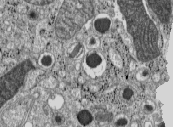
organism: C57BL Mouse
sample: Pancreatic islet